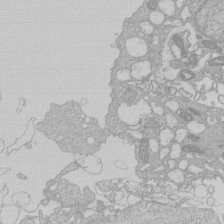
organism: Human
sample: Macrophage cells